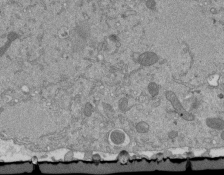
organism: Mouse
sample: ED-1 cell nuclei; centrioles